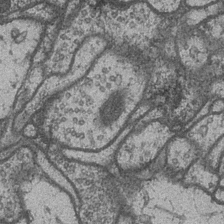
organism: Drosophila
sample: Optic medulla